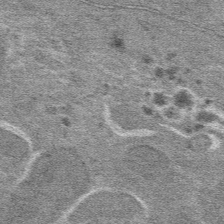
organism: Mouse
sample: Mouse hepatocytes